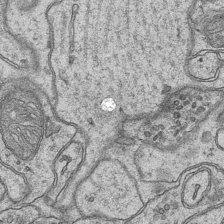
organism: Mouse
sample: CA1 Hippocampus